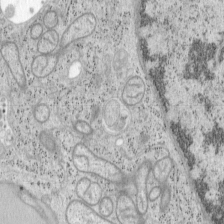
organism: Mouse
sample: OT-I killer T cells with ID8 ovarian cancer cells